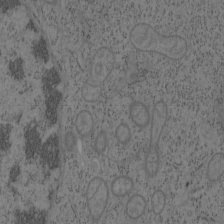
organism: Mouse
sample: OT-I killer T cells with ID8 ovarian cancer cells